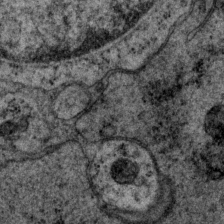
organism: P. pacificus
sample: Pharynx